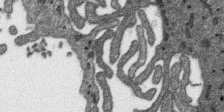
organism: Human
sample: Lung epithelial cells infected with SARS-CoV-2